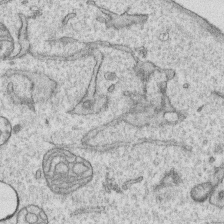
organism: Human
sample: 1205lu cells